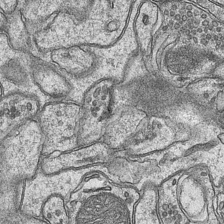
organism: Mouse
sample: CA1 Hippocampus